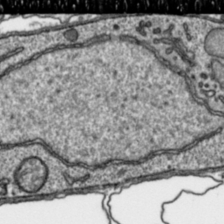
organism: Toxoplasma gondii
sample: Parasites in a vacuole inside a host cell